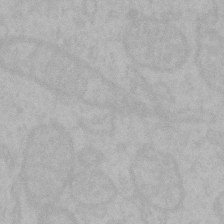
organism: Mouse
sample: Choroid plexus